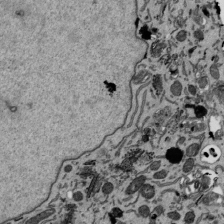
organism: Mouse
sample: ED-1 cell nuclei; centrioles